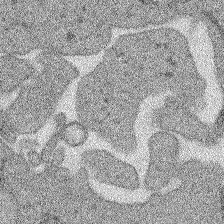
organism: Human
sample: HeLa cells